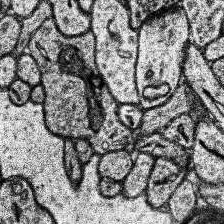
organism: Human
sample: Temporal Lobe